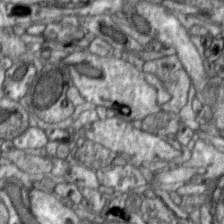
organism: Zebra finch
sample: Brain